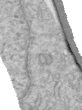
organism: Human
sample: Centriole in RPE cells